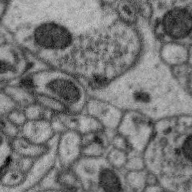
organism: Zebra finch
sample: Brain